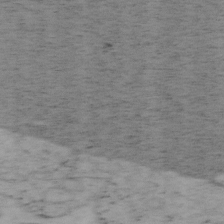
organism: Mouse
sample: OT-I killer T cells with ID8 ovarian cancer cells